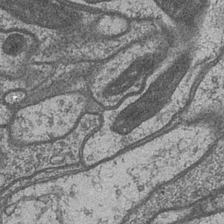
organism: Drosophila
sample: Optic medulla